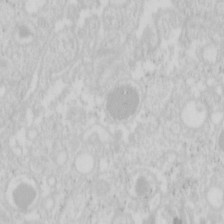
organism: Mouse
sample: Pancreas